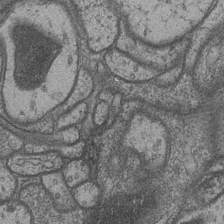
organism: Drosophila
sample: Optic medulla